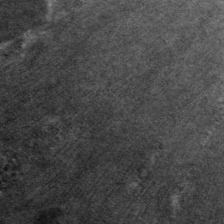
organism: C. elegans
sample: Pharynx